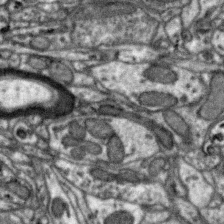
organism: Zebra finch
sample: Brain